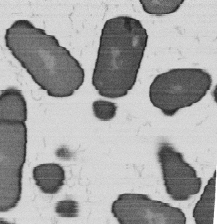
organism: B. subtilis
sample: Bacterial spore